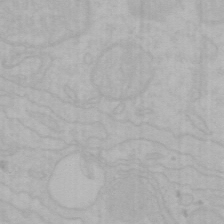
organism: Mouse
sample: Choroid plexus